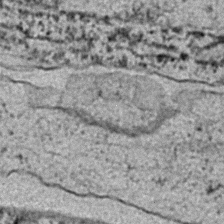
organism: C. elegans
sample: C. elegans embryo